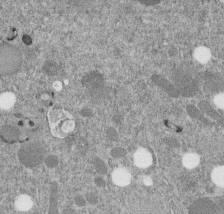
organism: C. elegans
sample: C. elegans embryo early stage